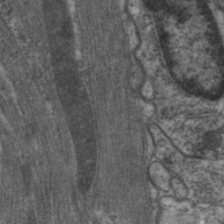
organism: C. elegans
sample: Pharynx